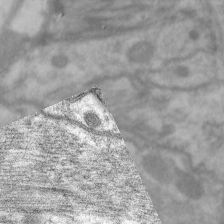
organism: C. elegans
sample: Pharynx